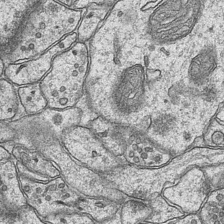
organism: Mouse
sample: CA1 Hippocampus